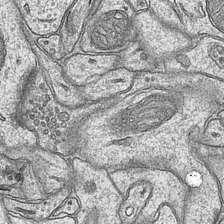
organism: Mouse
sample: CA1 Hippocampus